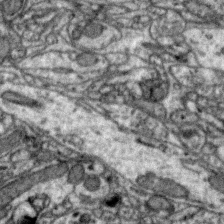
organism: Zebra finch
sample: Brain